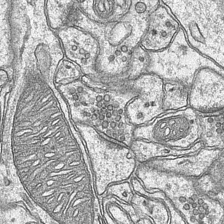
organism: Mouse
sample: CA1 Hippocampus